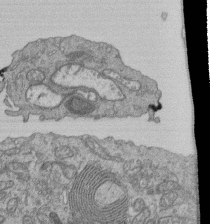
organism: Human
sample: Retinal organoid Rod and Cone cells